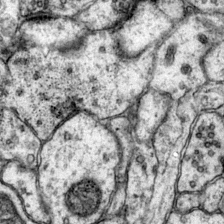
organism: Mouse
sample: Primary visual cortex